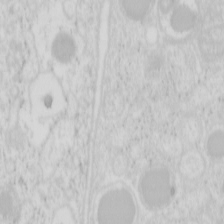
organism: Mouse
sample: Pancreas